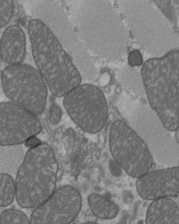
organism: C57BL Mouse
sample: Heart